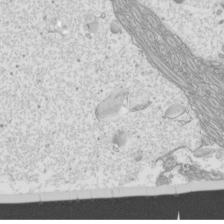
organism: Mouse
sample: Cilia; mouse epididymis